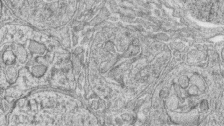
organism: Zebrafish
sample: synaptic ribbons in rod cells and cone cells